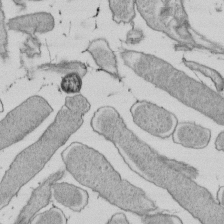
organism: E. coli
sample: Bacterial nucleoid